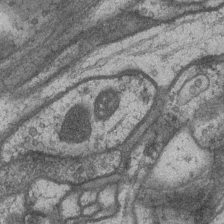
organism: Drosophila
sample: Optic medulla